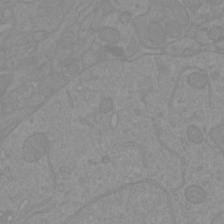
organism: Mouse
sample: Cortical neurons